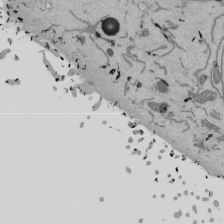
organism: Mouse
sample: ED-1 cell nuclei; centrioles